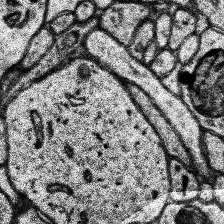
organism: Human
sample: Temporal Lobe